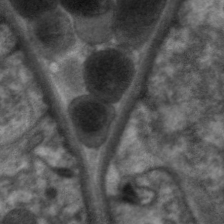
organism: C. elegans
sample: Pharynx